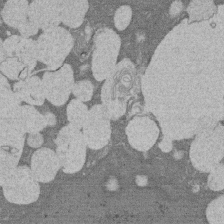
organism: Rat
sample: Salivary granule